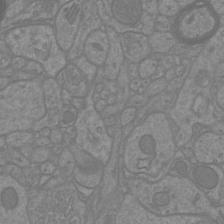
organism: Mouse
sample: Cortical neurons